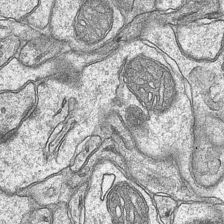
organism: Mouse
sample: CA1 Hippocampus